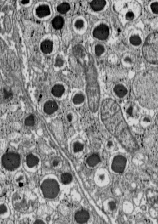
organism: C57BL Mouse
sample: Pancreatic islet